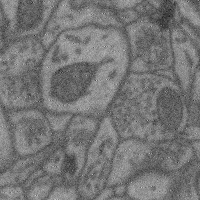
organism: Mouse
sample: Cerebral cortex